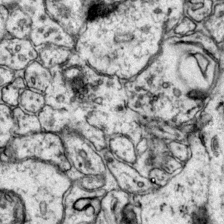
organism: Mouse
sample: Primary visual cortex